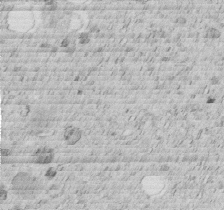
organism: C. elegans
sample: C. elegans embryo early stage